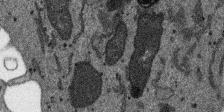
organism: Human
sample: Lung epithelial cells infected with SARS-CoV-2